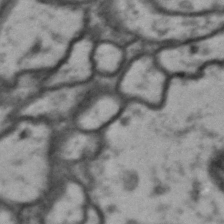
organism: Drosophila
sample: Brain